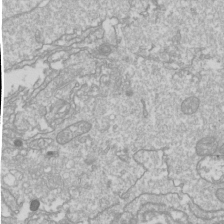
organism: Drosophila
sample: Cell division; meiosis; drosophila spermatocytes